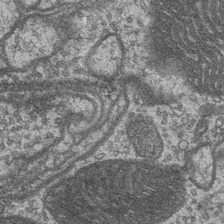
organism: Drosophila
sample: Optic medulla